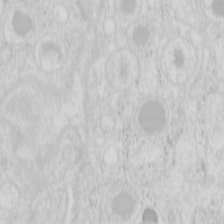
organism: Mouse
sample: Pancreas